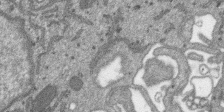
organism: Human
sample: Lung epithelial cells infected with SARS-CoV-2